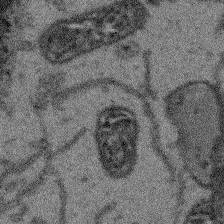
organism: Arabidopsis thaliana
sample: Root tip